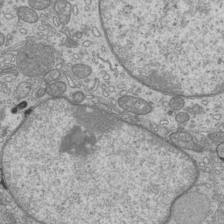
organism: Mouse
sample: Cilia; mouse epididymis